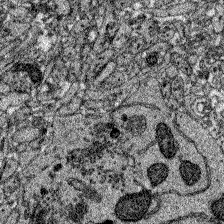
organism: Zebrafish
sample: Larval olfactory bulb